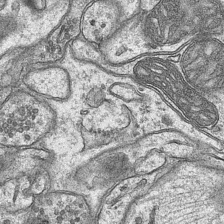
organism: Mouse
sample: CA1 Hippocampus